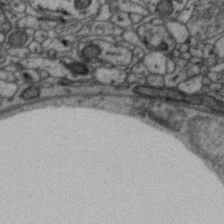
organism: Zebra finch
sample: Brain